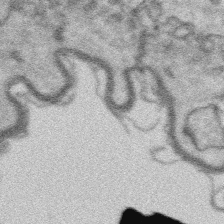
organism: Platynereis dumerilii